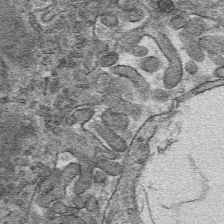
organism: Mouse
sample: Mouse hepatocytes